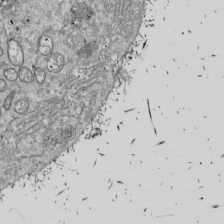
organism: Drosophila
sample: Cell division; meiosis; drosophila spermatocytes